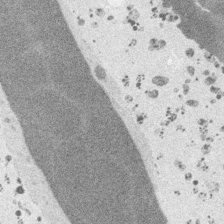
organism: Embia sp.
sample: Silk gland